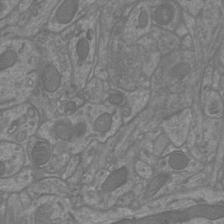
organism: Mouse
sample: Cortical neurons